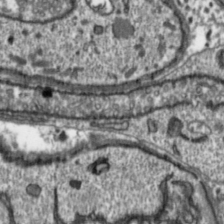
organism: Toxoplasma gondii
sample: Parasites in a vacuole inside a host cell